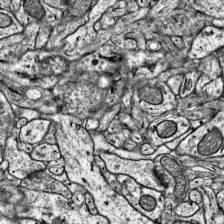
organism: Mouse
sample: Visual Cortex